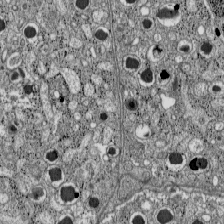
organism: C57BL Mouse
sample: Pancreatic islet